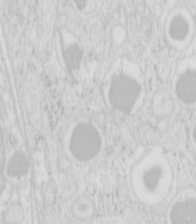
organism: Mouse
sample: Pancreas